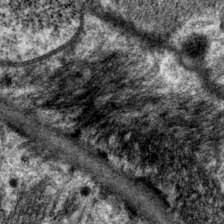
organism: P. pacificus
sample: Pharynx